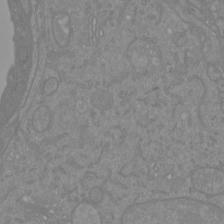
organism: Mouse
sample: Cortical neurons